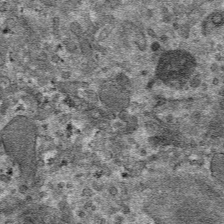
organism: Mouse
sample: Mouse hepatocytes